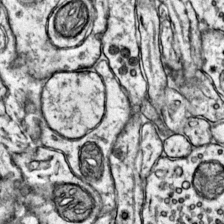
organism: Mouse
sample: Primary visual cortex